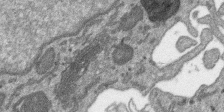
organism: Human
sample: Lung epithelial cells infected with SARS-CoV-2